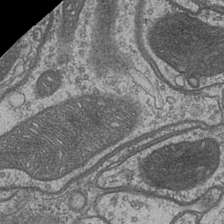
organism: Drosophila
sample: Optic medulla